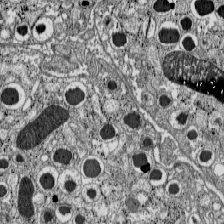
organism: C57BL Mouse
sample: Pancreatic islet